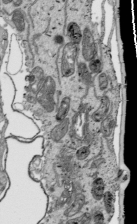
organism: Human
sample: Mitochondria in HCT116 cells